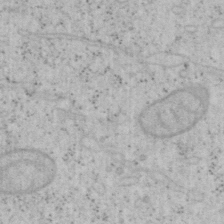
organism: Human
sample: HeLa cells